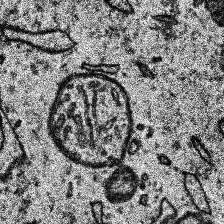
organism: Human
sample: Temporal Lobe